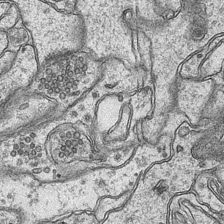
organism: Mouse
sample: CA1 Hippocampus